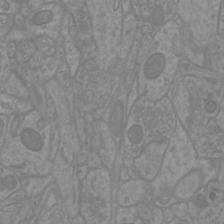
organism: Mouse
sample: Cortical neurons